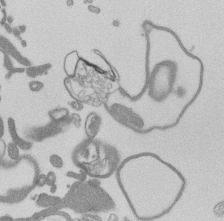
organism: Mouse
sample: Dividing mouse embryo 1 cell stage